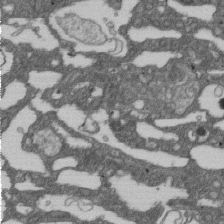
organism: Drosophila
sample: Nephrocyte